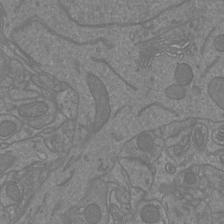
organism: Mouse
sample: Cortical neurons